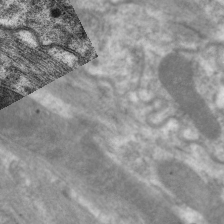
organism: C. elegans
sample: Pharynx